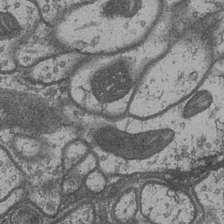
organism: Drosophila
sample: Optic medulla